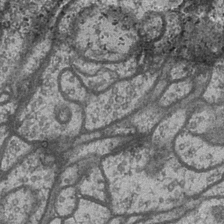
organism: Drosophila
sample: Optic medulla